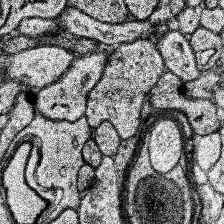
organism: Human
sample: Temporal Lobe